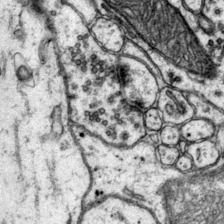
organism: Mouse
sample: Primary visual cortex